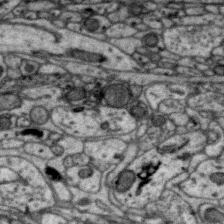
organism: Zebra finch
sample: Brain